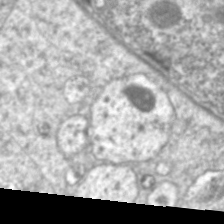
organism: C. elegans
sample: Pharynx